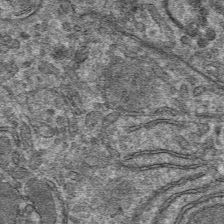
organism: Mouse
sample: Mouse hepatocytes